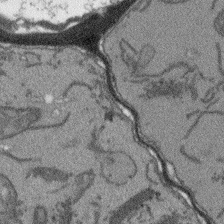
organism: Arabidopsis thaliana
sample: Root tip